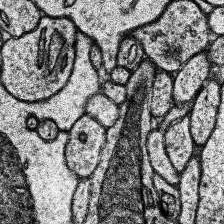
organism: Human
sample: Temporal Lobe